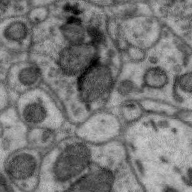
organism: Zebra finch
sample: Brain